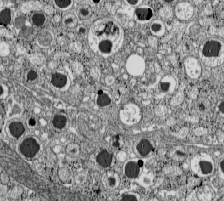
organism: C57BL Mouse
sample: Pancreatic islet